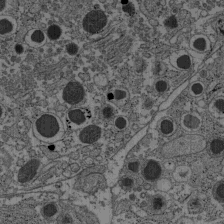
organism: C57BL Mouse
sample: Pancreatic islet